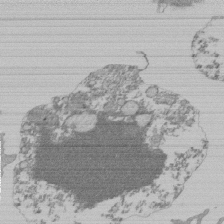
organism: Mouse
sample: Activated Pmel transgenic CD8+ T Cells